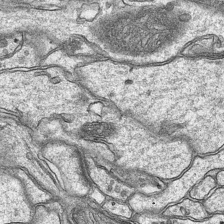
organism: Mouse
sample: CA1 Hippocampus